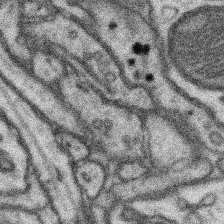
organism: Mouse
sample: Somatosensory cortex neuropil